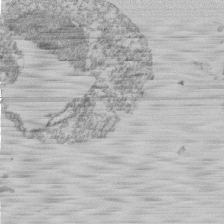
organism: Mouse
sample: Activated Pmel transgenic CD8+ T Cells